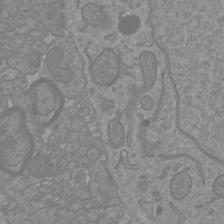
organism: Mouse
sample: Cortical neurons